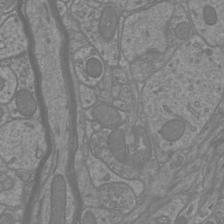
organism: Mouse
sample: Cortical neurons